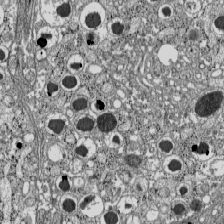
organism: C57BL Mouse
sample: Pancreatic islet